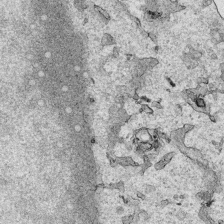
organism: Human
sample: Mitochondria in HCT116 cells